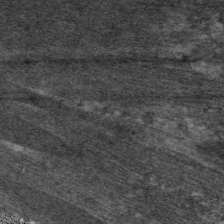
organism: C. elegans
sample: Pharynx